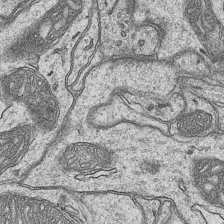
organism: Mouse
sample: CA1 Hippocampus